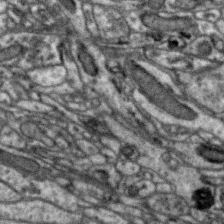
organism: Zebra finch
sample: Brain